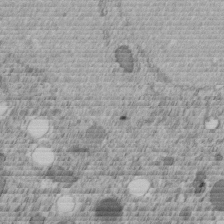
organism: C. elegans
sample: C. elegans embryo early stage